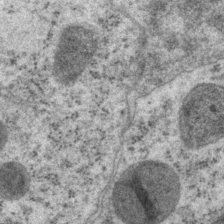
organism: P. pacificus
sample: Pharynx